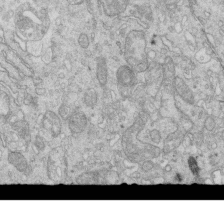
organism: Mouse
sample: Multiciliated cells